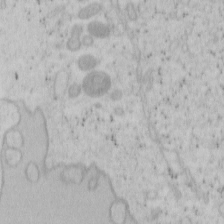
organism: Human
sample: HeLa cells